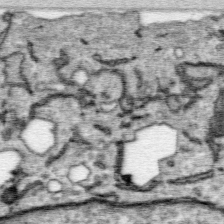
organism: Human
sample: HeLa cells